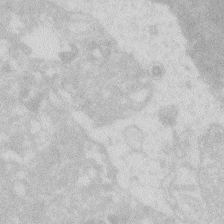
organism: Zebrafish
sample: Macrophage